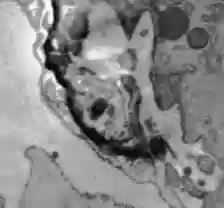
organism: C57BL Mouse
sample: Liver